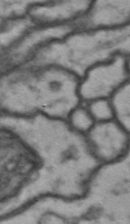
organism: Drosophila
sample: Brain